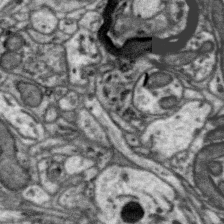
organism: Zebra finch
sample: Brain